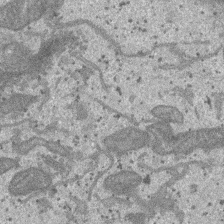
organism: Human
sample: Lung epithelial cells infected with SARS-CoV-2